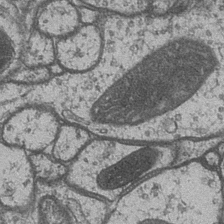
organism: Drosophila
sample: Optic medulla